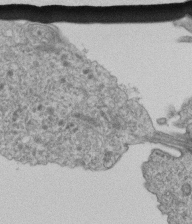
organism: Human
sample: Retinal organoid Rod and Cone cells